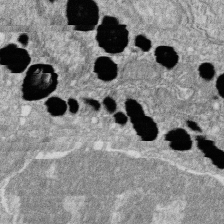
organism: Zebrafish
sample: Cilia; retinal pigment epithelium